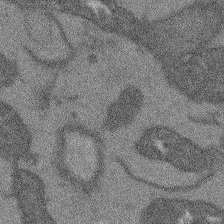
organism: Arabidopsis thaliana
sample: Root tip